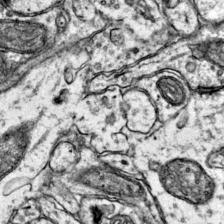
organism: Mouse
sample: Primary visual cortex